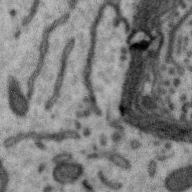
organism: Zebra finch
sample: Brain